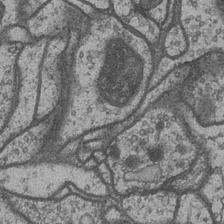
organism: Drosophila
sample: Optic medulla